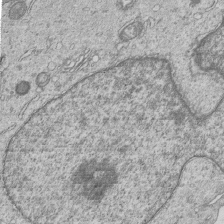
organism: Human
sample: MDA-MB-231 cells